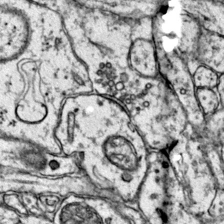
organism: Mouse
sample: Primary visual cortex